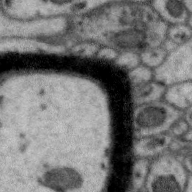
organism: Zebra finch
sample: Brain